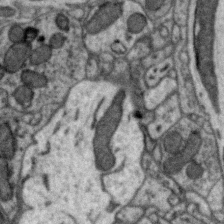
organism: Zebra finch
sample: Brain